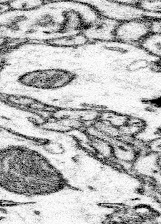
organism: Mouse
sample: Somatosensory cortex neuropil